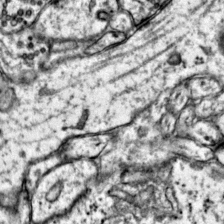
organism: Mouse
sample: Primary visual cortex